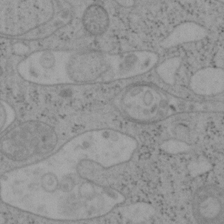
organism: Mouse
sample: OT-I killer T cells with ID8 ovarian cancer cells